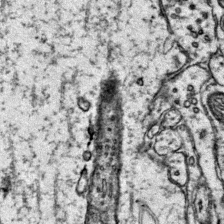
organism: Mouse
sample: Primary visual cortex